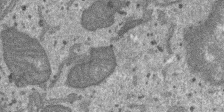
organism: Human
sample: Lung epithelial cells infected with SARS-CoV-2